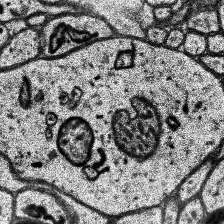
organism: Human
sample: Temporal Lobe